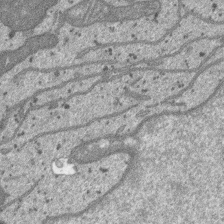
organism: Human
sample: Lung epithelial cells infected with SARS-CoV-2